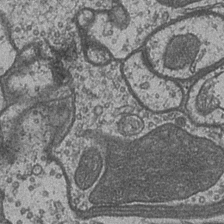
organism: Drosophila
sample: Optic medulla